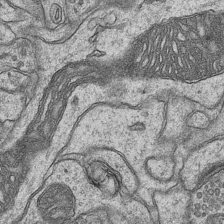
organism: Mouse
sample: CA1 Hippocampus